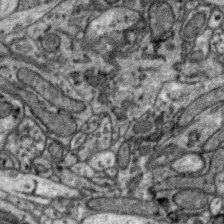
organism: Zebra finch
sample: Brain